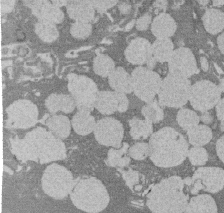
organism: Rat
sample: Salivary granule